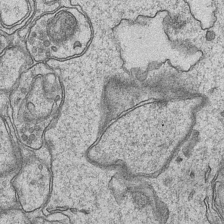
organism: Mouse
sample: CA1 Hippocampus